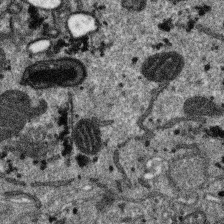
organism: Human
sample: Lung epithelial cells infected with SARS-CoV-2